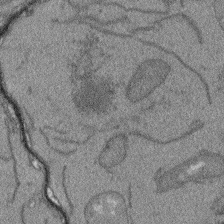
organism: Arabidopsis thaliana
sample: Root tip